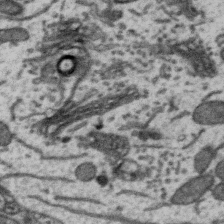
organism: Zebra finch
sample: Brain